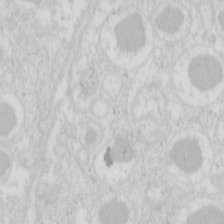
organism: Mouse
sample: Pancreas